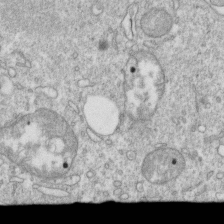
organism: Mouse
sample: Activated OT-1 CD8+ T cells